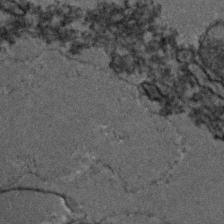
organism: Zebrafish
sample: Zebrafish embryo